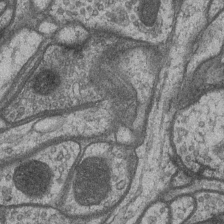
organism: Drosophila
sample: Optic medulla